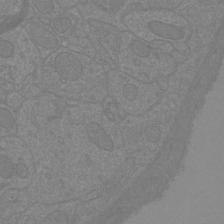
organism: Mouse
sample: Cortical neurons